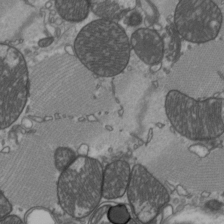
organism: C57BL Mouse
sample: Heart